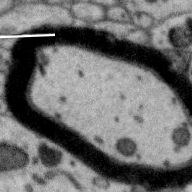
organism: Zebra finch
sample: Brain